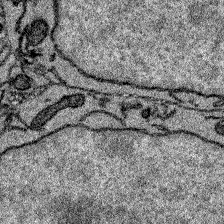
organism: Zebrafish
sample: Larval olfactory bulb